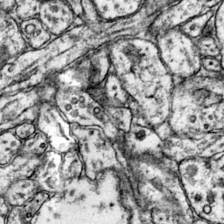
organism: Mouse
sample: Primary visual cortex